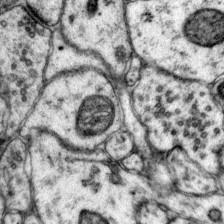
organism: Mouse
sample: Primary visual cortex